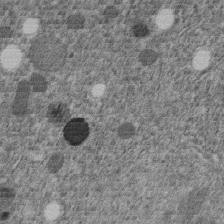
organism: C. elegans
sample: C. elegans embryo early stage